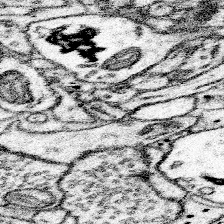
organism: Mouse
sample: Somatosensory cortex neuropil